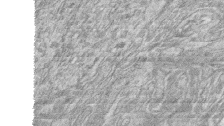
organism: Zebrafish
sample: synaptic ribbons in rod cells and cone cells